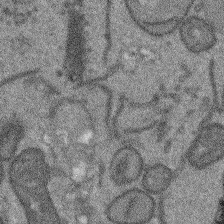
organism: Arabidopsis thaliana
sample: Root tip